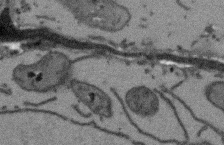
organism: Arabidopsis thaliana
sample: Root tip